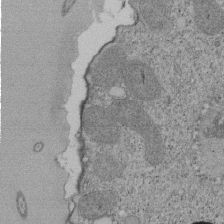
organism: Tetrahymena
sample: Cilia in tetrahymena